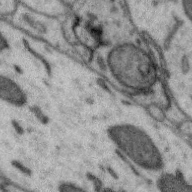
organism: Zebra finch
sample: Brain